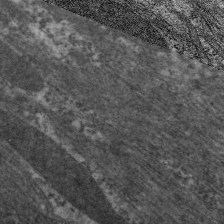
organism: C. elegans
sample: Pharynx